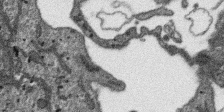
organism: Human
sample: Lung epithelial cells infected with SARS-CoV-2